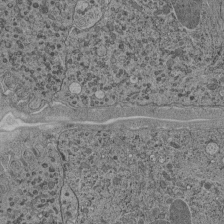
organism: C. elegans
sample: C. elegans pharynx